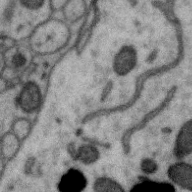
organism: Zebra finch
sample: Brain